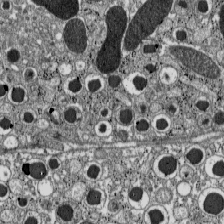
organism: C57BL Mouse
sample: Pancreatic islet